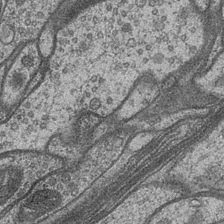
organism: Drosophila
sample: Optic medulla